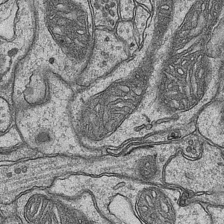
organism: Mouse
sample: CA1 Hippocampus